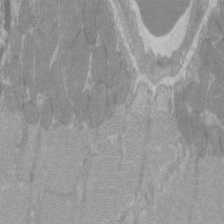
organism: C57BL Mouse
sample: Tibialis anterior muscle cell